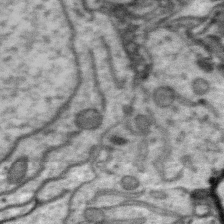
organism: Zebra finch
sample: Brain